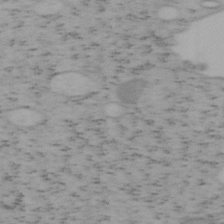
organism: Mouse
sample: OT-I killer T cells with ID8 ovarian cancer cells